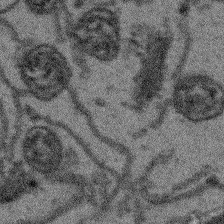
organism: Arabidopsis thaliana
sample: Root tip